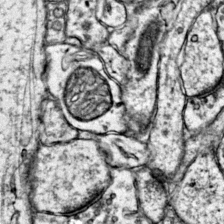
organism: Mouse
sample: Primary visual cortex